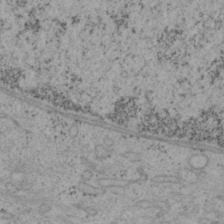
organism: Human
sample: HeLa cells